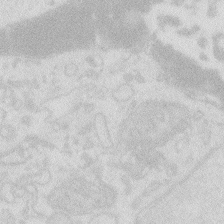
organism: Zebrafish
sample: Macrophage